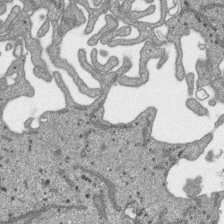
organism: Human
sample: Lung epithelial cells infected with SARS-CoV-2